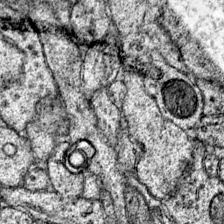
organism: Mouse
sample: Primary visual cortex